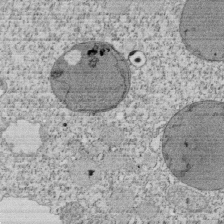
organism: Tetrahymena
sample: Cilia in tetrahymena